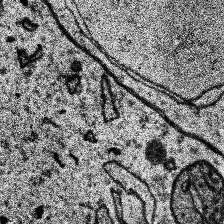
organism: Human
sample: Temporal Lobe